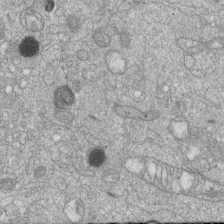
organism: Human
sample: HeLa cell HIV synapse